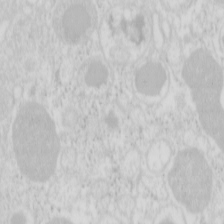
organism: Mouse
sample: Pancreas